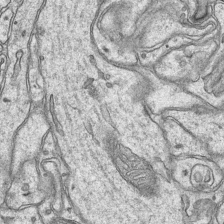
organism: Mouse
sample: CA1 Hippocampus